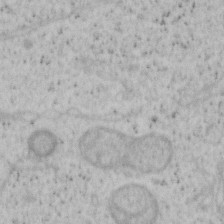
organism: Human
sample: HeLa cells